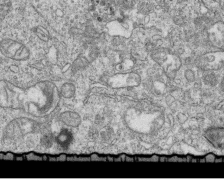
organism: Human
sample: HeLa cell HIV synapse